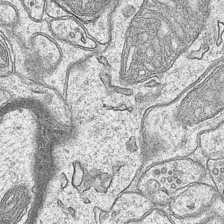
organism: Mouse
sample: CA1 Hippocampus